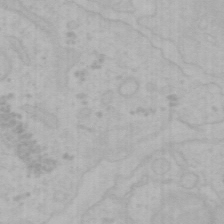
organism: Mouse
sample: Choroid plexus